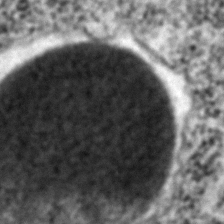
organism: C. elegans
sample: C. elegans embryo